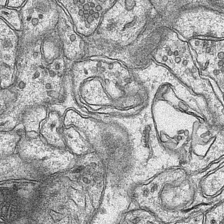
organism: Mouse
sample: CA1 Hippocampus